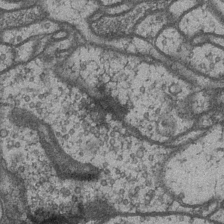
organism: Drosophila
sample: Optic medulla